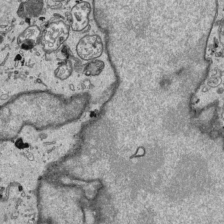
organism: Human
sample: Mitochondria in HCT116 cells